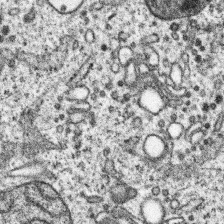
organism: Human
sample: HeLa cells